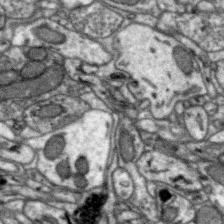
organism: Zebra finch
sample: Brain